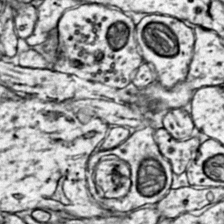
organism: Mouse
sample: Primary visual cortex